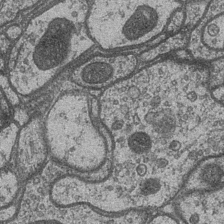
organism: Drosophila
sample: Optic medulla